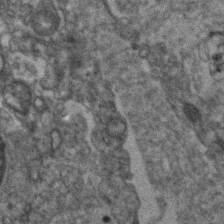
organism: Human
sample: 1205lu cells